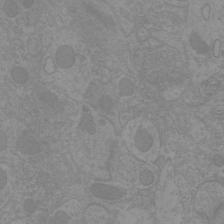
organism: Mouse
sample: Cortical neurons